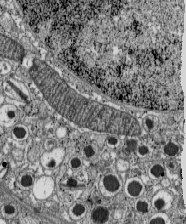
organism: C57BL Mouse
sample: Pancreatic islet